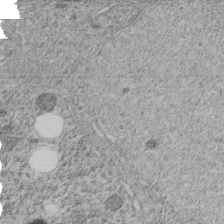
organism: C. elegans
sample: C. elegans embryo early stage